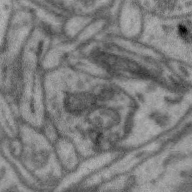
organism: Zebra finch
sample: Brain